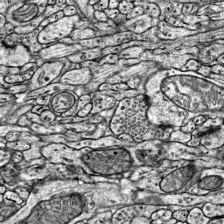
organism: Mouse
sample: Visual Cortex